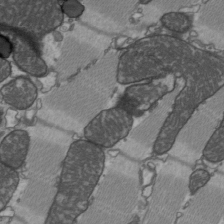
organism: C57BL Mouse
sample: Heart